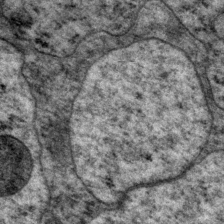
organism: P. pacificus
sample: Pharynx